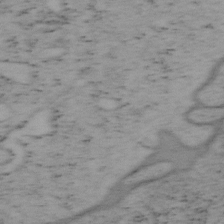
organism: Mouse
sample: OT-I killer T cells with ID8 ovarian cancer cells